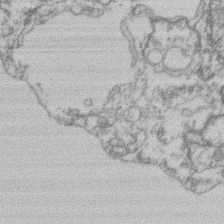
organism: Mouse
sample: T cell stromal cell synapse